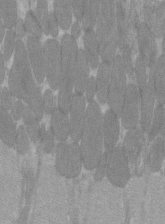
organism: C57BL Mouse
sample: Tibialis anterior muscle cell